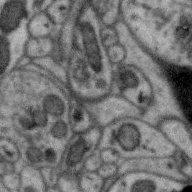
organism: Zebra finch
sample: Brain